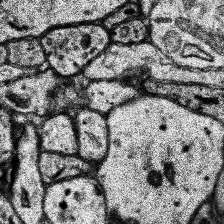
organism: Human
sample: Temporal Lobe